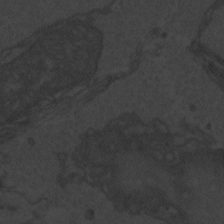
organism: Zebrafish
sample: Macrophage infected with Toxoplasma gondii